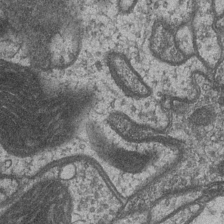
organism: Drosophila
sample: Optic medulla